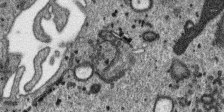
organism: Human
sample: Lung epithelial cells infected with SARS-CoV-2